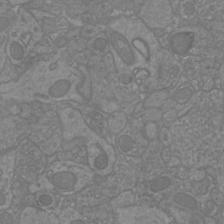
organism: Mouse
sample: Cortical neurons